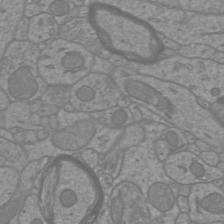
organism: Mouse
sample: Cortical neurons